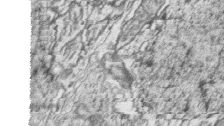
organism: Zebrafish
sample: synaptic ribbons in rod cells and cone cells